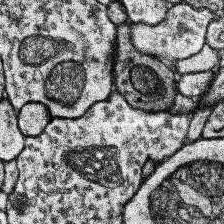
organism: Human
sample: Temporal Lobe